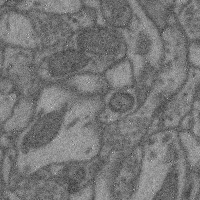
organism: Mouse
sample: Cerebral cortex